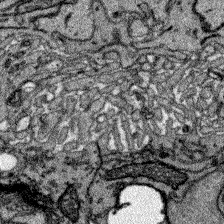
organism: Zebrafish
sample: Larval olfactory bulb